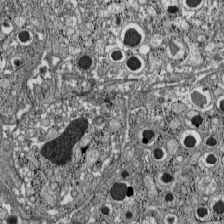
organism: C57BL Mouse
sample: Pancreatic islet